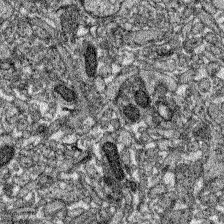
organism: Zebrafish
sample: Larval olfactory bulb